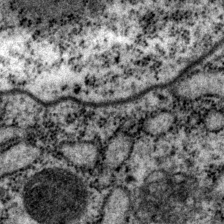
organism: P. pacificus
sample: Pharynx